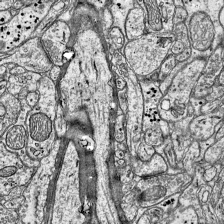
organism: Mouse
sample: Visual Cortex